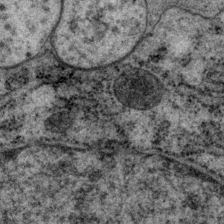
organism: P. pacificus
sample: Pharynx